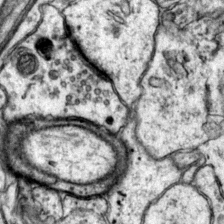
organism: Mouse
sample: Primary visual cortex